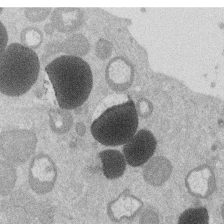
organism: Mouse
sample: Dividing mouse embryo 1 cell stage